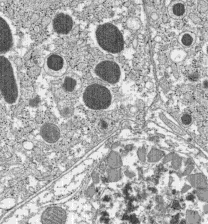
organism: C57BL Mouse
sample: Pancreatic islet